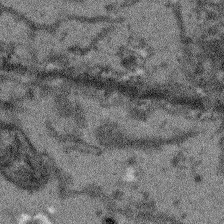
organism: Arabidopsis thaliana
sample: Root tip